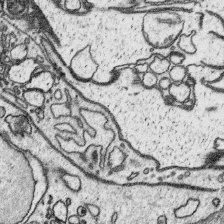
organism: Platynereis dumerilii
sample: Parapodia